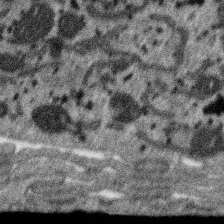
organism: Human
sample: Lung epithelial cells infected with SARS-CoV-2